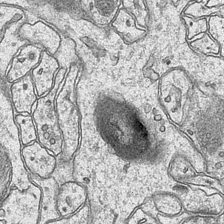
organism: Mouse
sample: CA1 Hippocampus